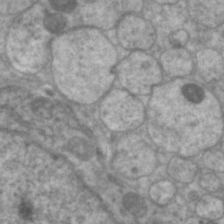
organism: C. elegans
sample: Pharynx